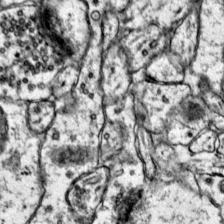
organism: Mouse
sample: Primary visual cortex